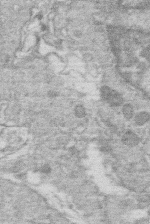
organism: Human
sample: Macrophage cells